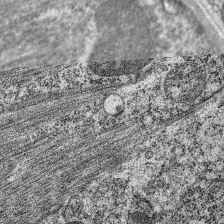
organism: C. elegans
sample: Pharynx